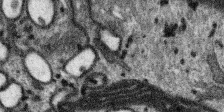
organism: Human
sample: Lung epithelial cells infected with SARS-CoV-2